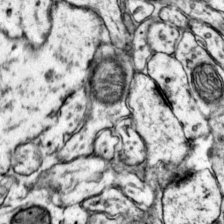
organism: Mouse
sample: Primary visual cortex